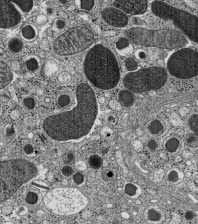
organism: C57BL Mouse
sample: Pancreatic islet